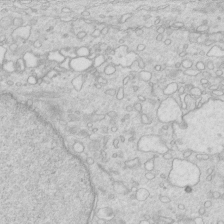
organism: Mouse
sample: Multiciliated cells